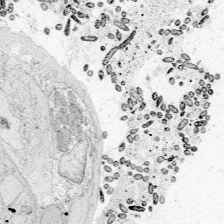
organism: Zebrafish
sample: Whole-Brain